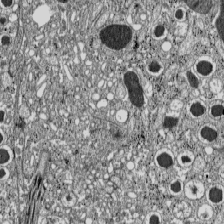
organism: C57BL Mouse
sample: Pancreatic islet